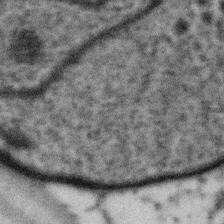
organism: Gemmata obscuriglobus